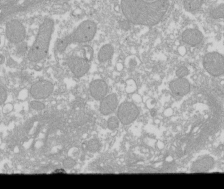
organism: Xenopus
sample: Cilia; centrioles in frog embryo cells